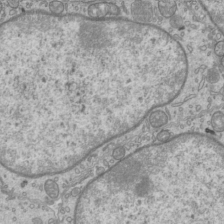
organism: Mouse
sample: Cilia; mouse epididymis